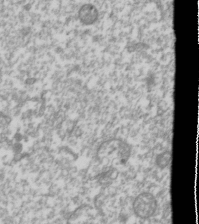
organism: Drosophila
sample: Cell division; meiosis; drosophila spermatocytes